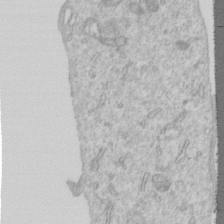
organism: Human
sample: Centriole in RPE cells